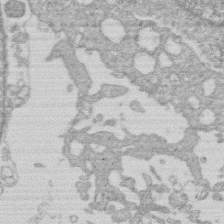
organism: Human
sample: Macrophage cells